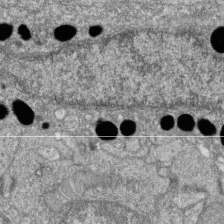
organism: Zebrafish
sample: Cilia; retinal pigment epithelium